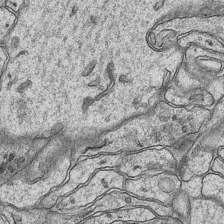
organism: Mouse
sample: CA1 Hippocampus